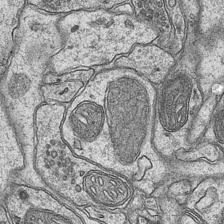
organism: Mouse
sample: CA1 Hippocampus